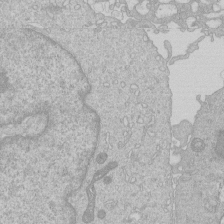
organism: Human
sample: Macrophage cells